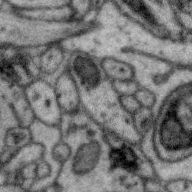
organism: Zebra finch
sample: Brain